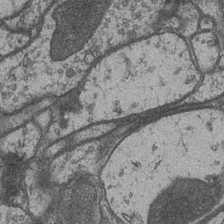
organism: Drosophila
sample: Optic medulla